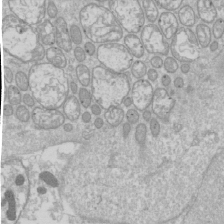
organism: Drosophila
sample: Cell division; meiosis; drosophila spermatocytes